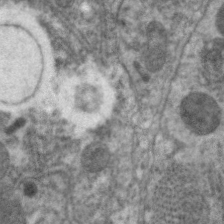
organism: C. elegans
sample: Pharynx